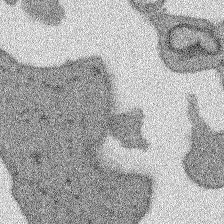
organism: Human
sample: HeLa cells